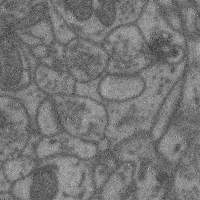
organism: Mouse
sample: Cerebral cortex